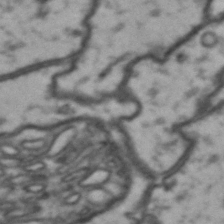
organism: Drosophila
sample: Brain